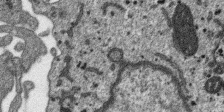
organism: Human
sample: Lung epithelial cells infected with SARS-CoV-2